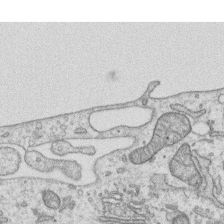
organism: Human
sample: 1205lu cells